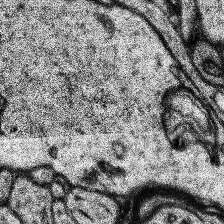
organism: Human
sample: Temporal Lobe